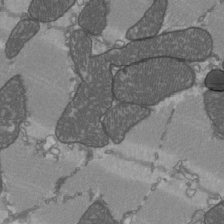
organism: C57BL Mouse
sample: Heart